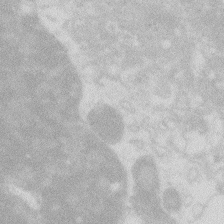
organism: Zebrafish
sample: Macrophage